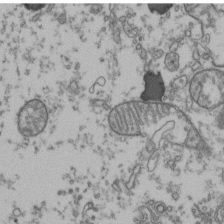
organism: Human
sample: Activated Jurkat CD4+ T cells